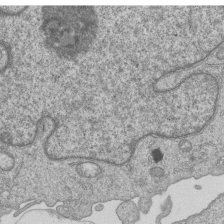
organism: Human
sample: MDA-MB-231 cells